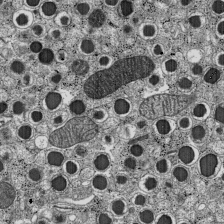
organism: C57BL Mouse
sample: Pancreatic islet